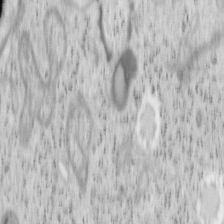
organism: Human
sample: HeLa cells